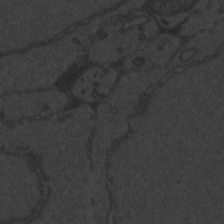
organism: Zebrafish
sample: Macrophage infected with Toxoplasma gondii